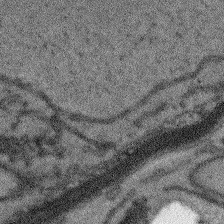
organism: Arabidopsis thaliana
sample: Root tip